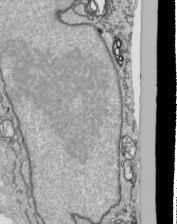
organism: Human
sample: Mitochondria in HCT116 cells